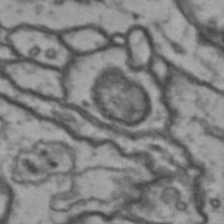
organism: Drosophila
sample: Brain